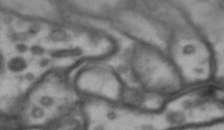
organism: Drosophila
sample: Brain